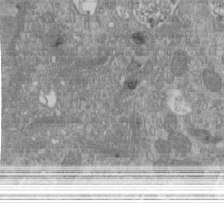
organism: Mouse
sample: ED-1 cell nuclei; centrioles